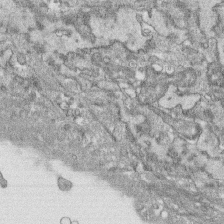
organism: Human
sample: CRL-1474